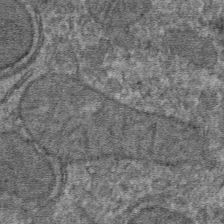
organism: Mouse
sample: Mouse hepatocytes